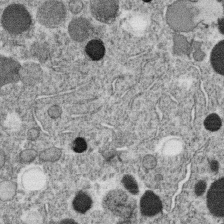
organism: C. elegans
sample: C. elegans oocyte; sperm cells